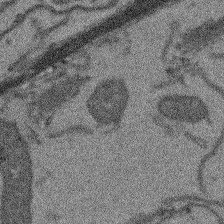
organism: Arabidopsis thaliana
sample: Root tip